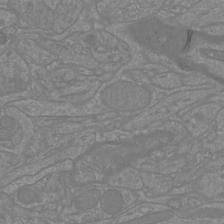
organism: Mouse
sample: Cortical neurons